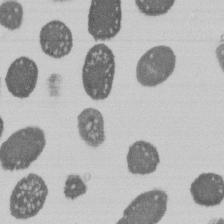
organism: E. coli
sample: Bacterial nucleoid